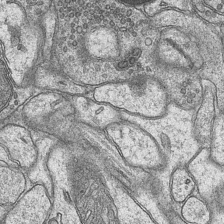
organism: Mouse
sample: CA1 Hippocampus